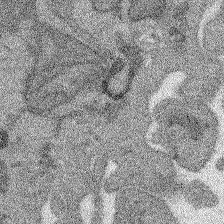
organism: Human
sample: HeLa cells